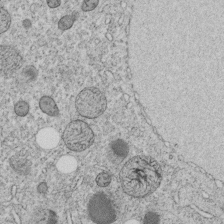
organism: C. elegans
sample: C. elegans embryo early stage